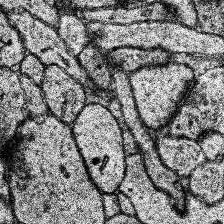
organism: Human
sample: Temporal Lobe